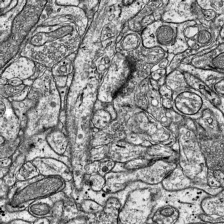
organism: Mouse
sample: Visual Cortex